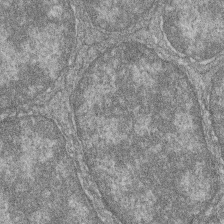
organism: Zebrafish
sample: Cilia; retinal pigment epithelium